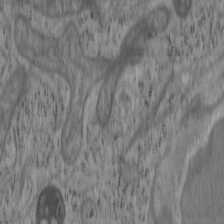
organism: Human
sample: HeLa cells